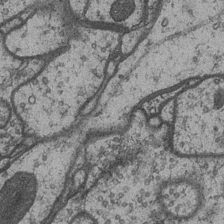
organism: Drosophila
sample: Optic medulla